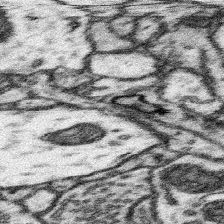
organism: Mouse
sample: Somatosensory cortex neuropil